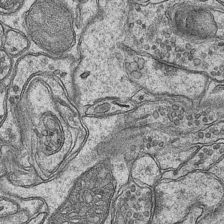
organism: Mouse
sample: CA1 Hippocampus